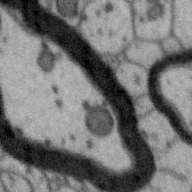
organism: Zebra finch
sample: Brain